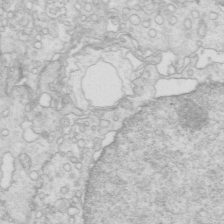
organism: Mouse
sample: Multiciliated cells